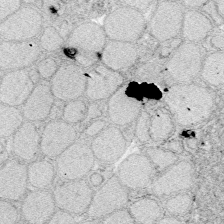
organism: Zebrafish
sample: Whole-Brain